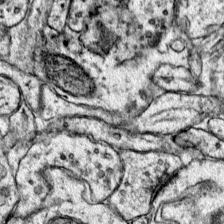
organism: Mouse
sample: Primary visual cortex